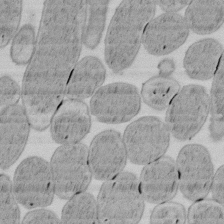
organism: E. coli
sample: Bacterial nucleoid